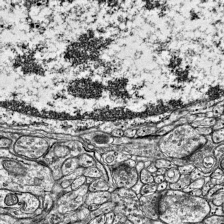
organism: Mouse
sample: Visual Cortex